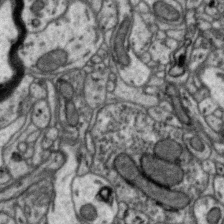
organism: Zebra finch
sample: Brain